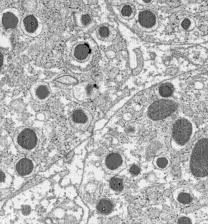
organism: C57BL Mouse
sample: Pancreatic islet